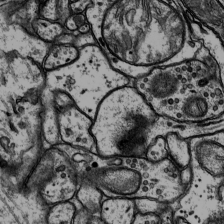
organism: Rat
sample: Hippocampus